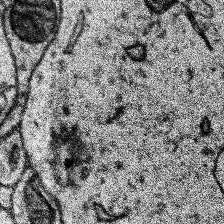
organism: Human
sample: Temporal Lobe